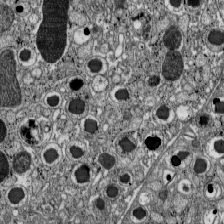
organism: C57BL Mouse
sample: Pancreatic islet